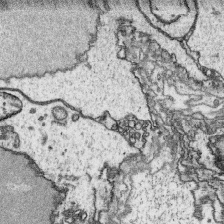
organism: Platynereis dumerilii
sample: Parapodia